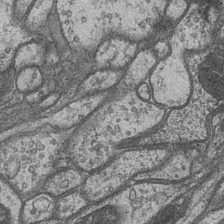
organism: Drosophila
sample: Optic medulla